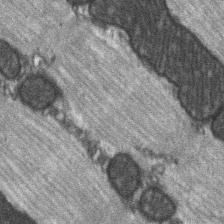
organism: C57BL Mouse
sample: Soleus